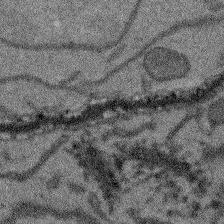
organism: Arabidopsis thaliana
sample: Root tip